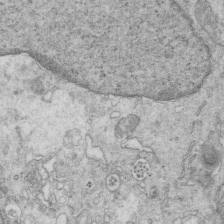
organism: Mouse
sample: Multiciliated cells